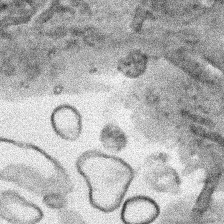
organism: Human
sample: Mitochondria in HCT116 cells